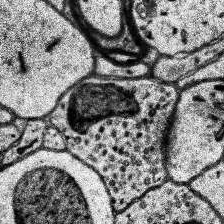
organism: Human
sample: Temporal Lobe